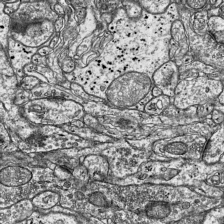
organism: Mouse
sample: Visual Cortex